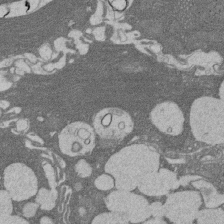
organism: Rat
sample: Salivary granule